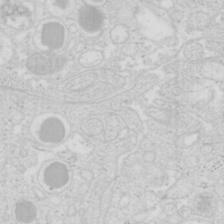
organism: Mouse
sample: Pancreas